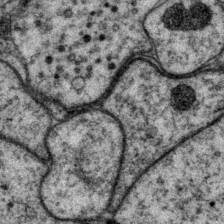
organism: P. pacificus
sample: Pharynx